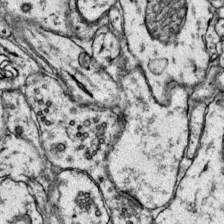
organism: Mouse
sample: Primary visual cortex